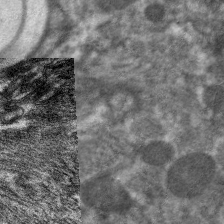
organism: C. elegans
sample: Pharynx